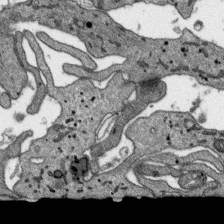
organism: Human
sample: Lung epithelial cells, uninfected (mock) control